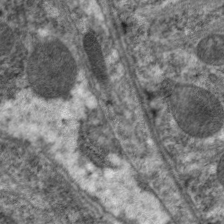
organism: C. elegans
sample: Pharynx